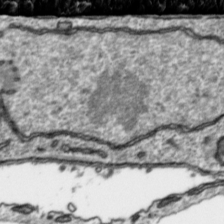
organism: Toxoplasma gondii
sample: Parasites in a vacuole inside a host cell